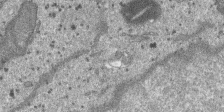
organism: Human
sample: Lung epithelial cells infected with SARS-CoV-2